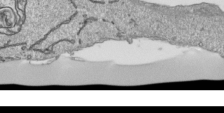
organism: Human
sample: Mitochondria in HCT116 cells